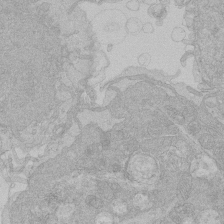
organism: Human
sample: Macrophage cells